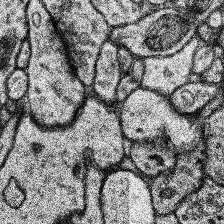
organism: Human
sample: Temporal Lobe